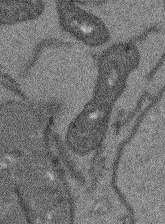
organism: Arabidopsis thaliana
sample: Root tip